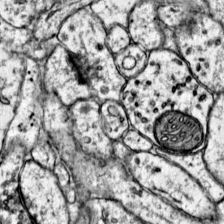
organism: Mouse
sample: Primary visual cortex